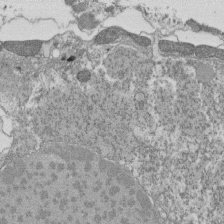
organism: Tetrahymena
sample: Cilia in tetrahymena